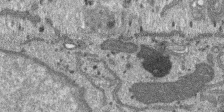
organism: Human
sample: Lung epithelial cells infected with SARS-CoV-2